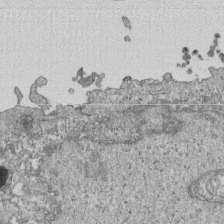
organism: Human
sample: HeLa cell HIV synapse